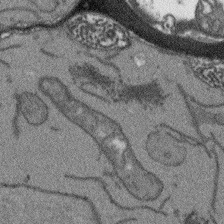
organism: Arabidopsis thaliana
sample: Root tip